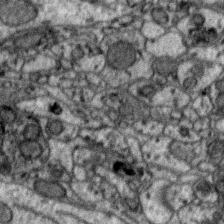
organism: Zebra finch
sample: Brain